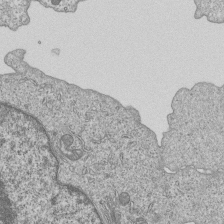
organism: Human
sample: MDA-MB-231 cells